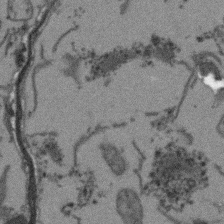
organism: Arabidopsis thaliana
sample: Root tip